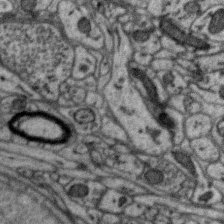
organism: Zebra finch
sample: Brain